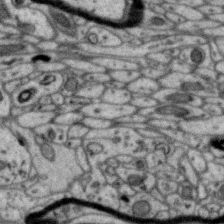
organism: Zebra finch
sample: Brain